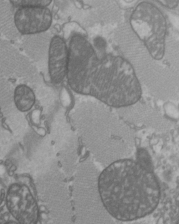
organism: C57BL Mouse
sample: Heart